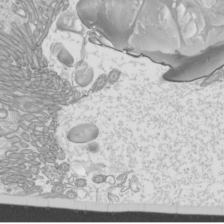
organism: Mouse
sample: Cilia; mouse epididymis